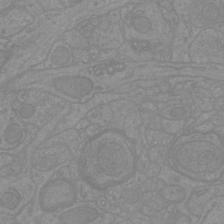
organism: Mouse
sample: Cortical neurons